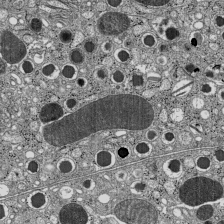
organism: C57BL Mouse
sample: Pancreatic islet